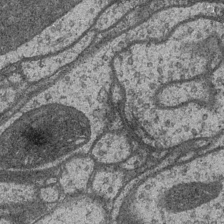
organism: Drosophila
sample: Optic medulla